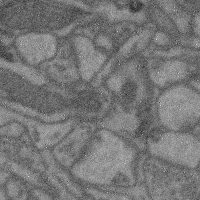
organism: Mouse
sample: Cerebral cortex